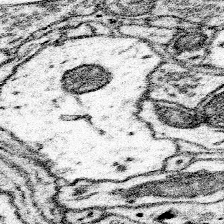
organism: Mouse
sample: Somatosensory cortex neuropil